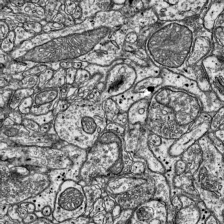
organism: Mouse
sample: Visual Cortex